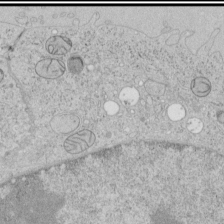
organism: Human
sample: Mitochondria in HCT116 cells